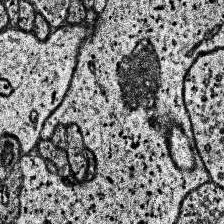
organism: Human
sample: Temporal Lobe